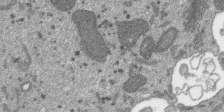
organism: Human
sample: Lung epithelial cells infected with SARS-CoV-2